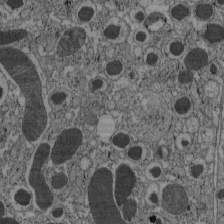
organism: C57BL Mouse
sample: Pancreatic islet